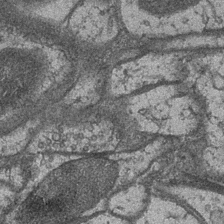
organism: Drosophila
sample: Optic medulla